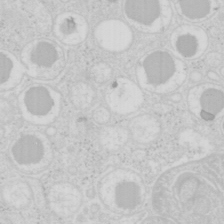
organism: Mouse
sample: Pancreas